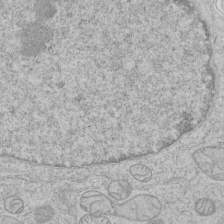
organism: Human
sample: Mitochondria in HCT116 cells